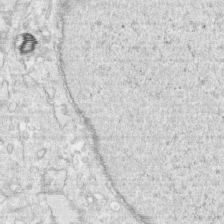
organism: Human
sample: CRL-1474